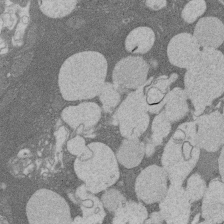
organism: Rat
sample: Salivary granule